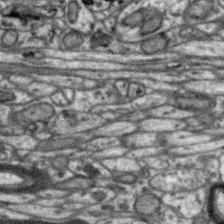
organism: Zebra finch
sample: Brain